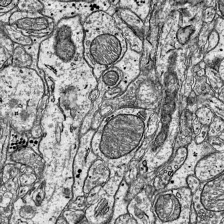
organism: Mouse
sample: Visual Cortex